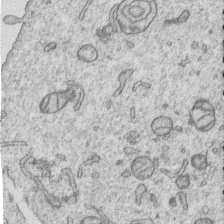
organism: Human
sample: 1205lu cells